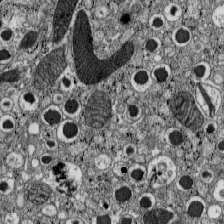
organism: C57BL Mouse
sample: Pancreatic islet